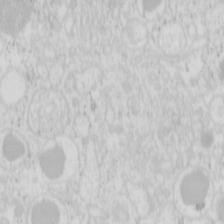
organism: Mouse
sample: Pancreas